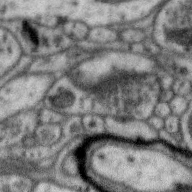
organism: Zebra finch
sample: Brain